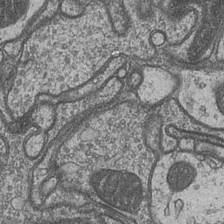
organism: Drosophila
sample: Optic medulla